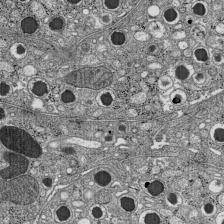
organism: C57BL Mouse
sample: Pancreatic islet